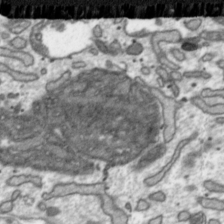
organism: Toxoplasma gondii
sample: Parasites in a vacuole inside a host cell